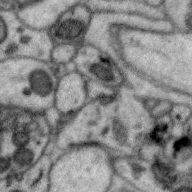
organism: Zebra finch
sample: Brain